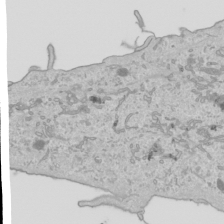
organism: Human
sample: Mitochondria in HCT116 cells